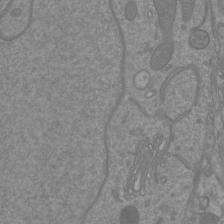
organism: Mouse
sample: Cortical neurons